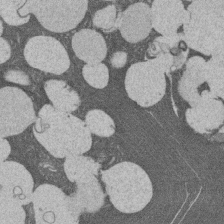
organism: Rat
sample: Salivary granule